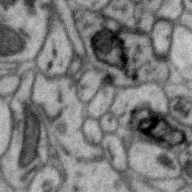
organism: Zebra finch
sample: Brain